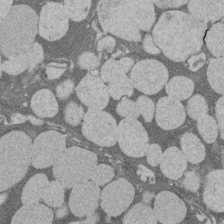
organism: Rat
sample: Salivary granule